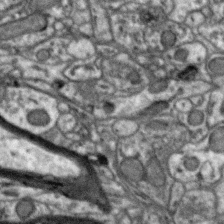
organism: Zebra finch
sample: Brain